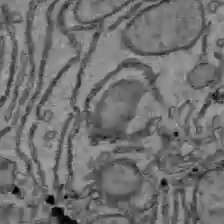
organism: C57BL Mouse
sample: Liver